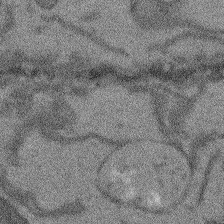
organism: Arabidopsis thaliana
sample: Root tip